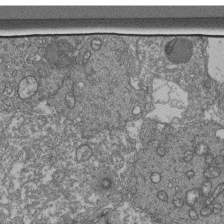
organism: Human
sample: Retinal organoid Rod and Cone cells